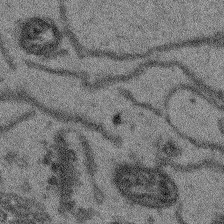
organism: Arabidopsis thaliana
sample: Root tip